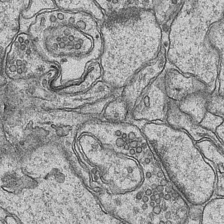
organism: Mouse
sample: CA1 Hippocampus